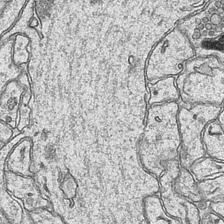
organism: Mouse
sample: CA1 Hippocampus